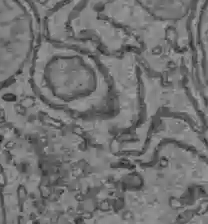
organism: C57BL Mouse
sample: Liver